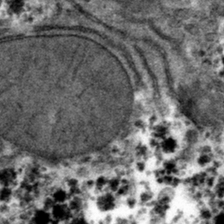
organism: Mouse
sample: Mouse hepatocytes